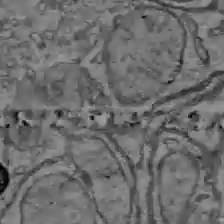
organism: C57BL Mouse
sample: Liver